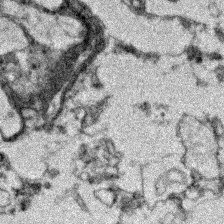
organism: Zebrafish